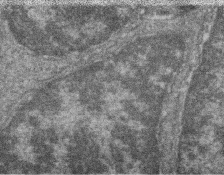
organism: Zebrafish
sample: Cilia; retinal pigment epithelium